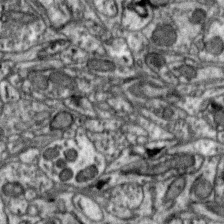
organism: Zebra finch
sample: Brain